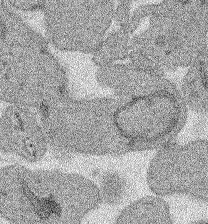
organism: Human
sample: HeLa cells